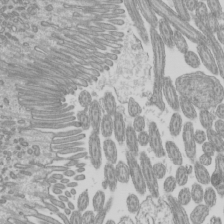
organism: Mouse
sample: Cilia; mouse epididymis